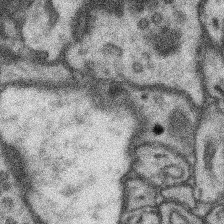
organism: Mouse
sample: Somatosensory cortex neuropil